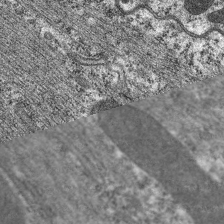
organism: C. elegans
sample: Pharynx